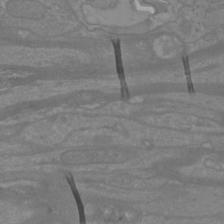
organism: Mouse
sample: Cortical neurons